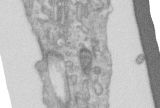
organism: Human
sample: Centriole in RPE cells